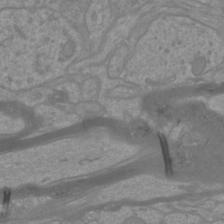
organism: Mouse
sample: Cortical neurons